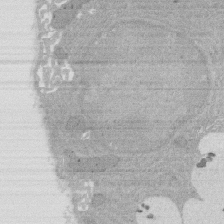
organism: Rat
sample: Salivary granule